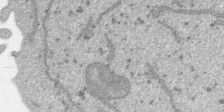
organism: Human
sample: Lung epithelial cells infected with SARS-CoV-2